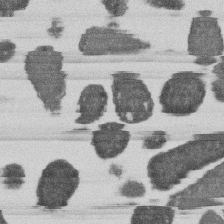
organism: E. coli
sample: Bacterial nucleoid